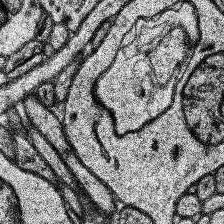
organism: Human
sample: Temporal Lobe